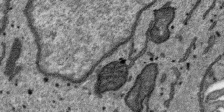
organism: Human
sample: Lung epithelial cells, uninfected (mock) control